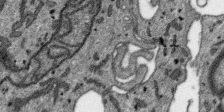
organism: Human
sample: Lung epithelial cells, uninfected (mock) control